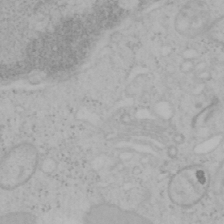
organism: Mouse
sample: OT-I killer T cells with ID8 ovarian cancer cells